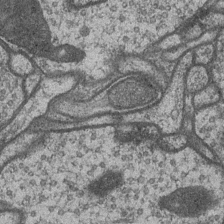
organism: Drosophila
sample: Optic medulla